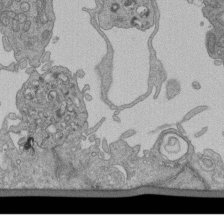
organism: Human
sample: Retinal organoid Rod and Cone cells